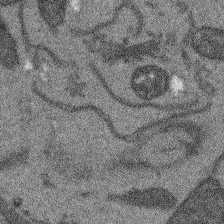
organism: Arabidopsis thaliana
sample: Root tip